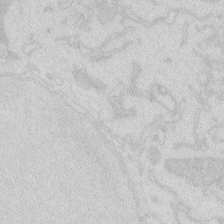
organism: Zebrafish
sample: Macrophage